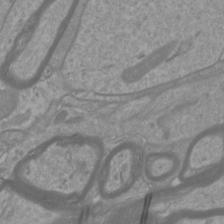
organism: Mouse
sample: Cortical neurons